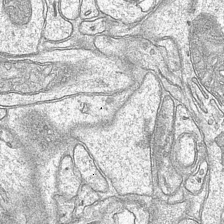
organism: Mouse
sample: CA1 Hippocampus